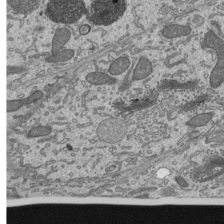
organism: Mouse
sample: Mouse epididymis efferent ductule cilia